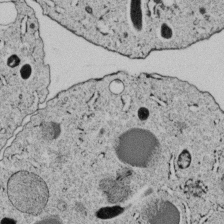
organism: C. elegans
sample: C. elegans embryo early stage